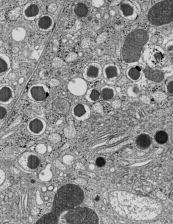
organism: C57BL Mouse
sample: Pancreatic islet